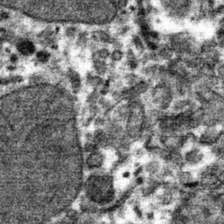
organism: Mouse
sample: Mouse hepatocytes